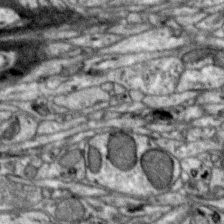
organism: Zebra finch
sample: Brain